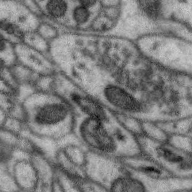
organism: Zebra finch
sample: Brain